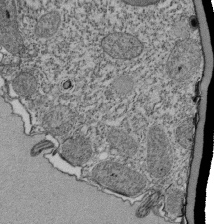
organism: Tetrahymena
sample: Cilia in tetrahymena